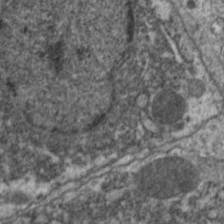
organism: C. elegans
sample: Pharynx